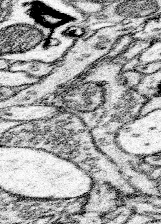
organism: Mouse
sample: Somatosensory cortex neuropil